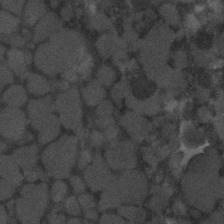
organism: C. elegans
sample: C. elegans embryo